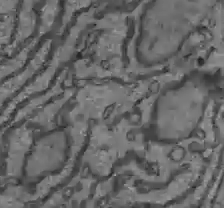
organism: C57BL Mouse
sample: Liver